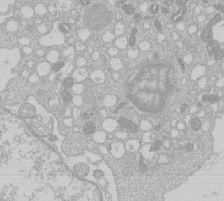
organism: Human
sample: Macrophage cells